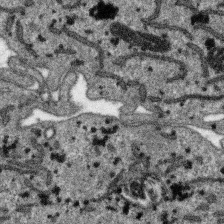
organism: Human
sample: Lung epithelial cells infected with SARS-CoV-2